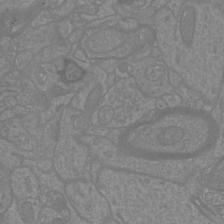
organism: Mouse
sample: Cortical neurons